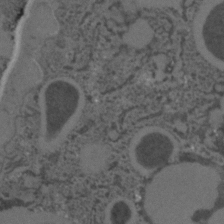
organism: C. elegans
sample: C. elegans embryo